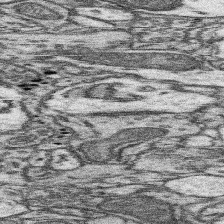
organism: Mouse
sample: Somatosensory cortex neuropil